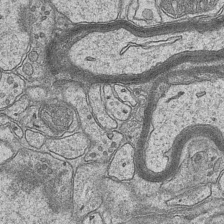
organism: Mouse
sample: CA1 Hippocampus